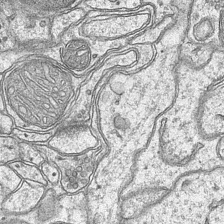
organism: Mouse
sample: CA1 Hippocampus